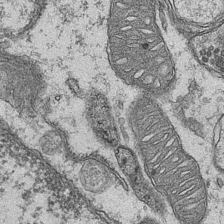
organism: Mouse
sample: CA1 Hippocampus